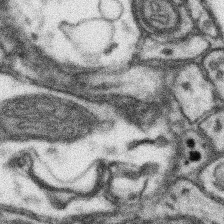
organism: Mouse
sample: Somatosensory cortex neuropil